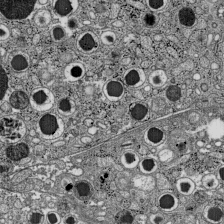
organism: C57BL Mouse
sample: Pancreatic islet